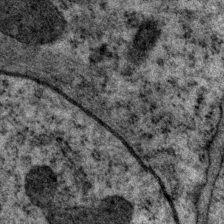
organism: P. pacificus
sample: Pharynx